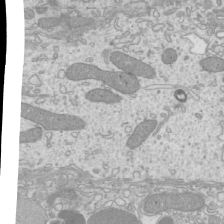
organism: Mouse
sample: Cilia; mouse epididymis